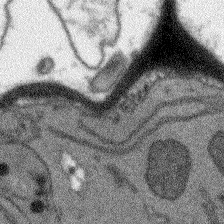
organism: Arabidopsis thaliana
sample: Root tip